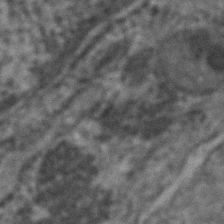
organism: Human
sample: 1205lu cells